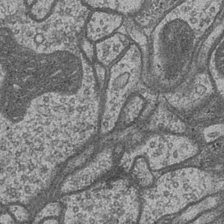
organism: Drosophila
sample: Optic medulla